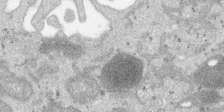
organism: Human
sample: Lung epithelial cells infected with SARS-CoV-2